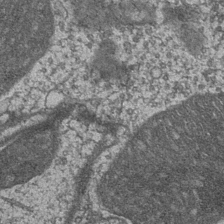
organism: Drosophila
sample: Optic medulla